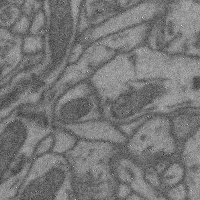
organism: Mouse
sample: Cerebral cortex